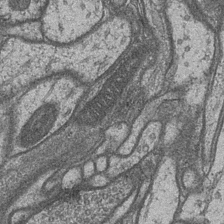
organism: Drosophila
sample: Optic medulla